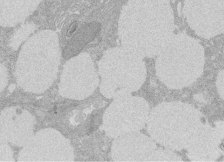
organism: Rat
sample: Salivary granule